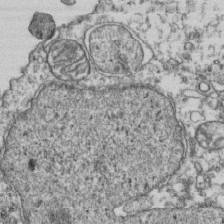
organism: Human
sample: Activated Jurkat CD4+ T cells